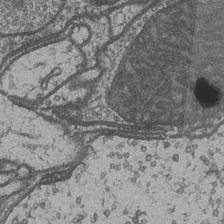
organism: Drosophila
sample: Optic medulla